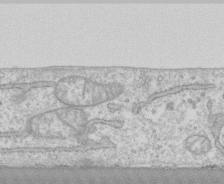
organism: Human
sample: CRL-1474